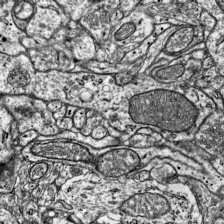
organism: Mouse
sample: Visual Cortex